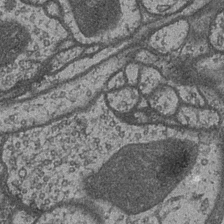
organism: Drosophila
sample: Optic medulla